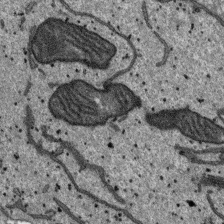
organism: Human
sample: Lung epithelial cells, uninfected (mock) control